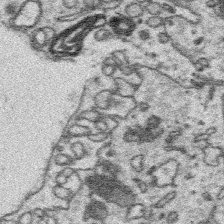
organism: Platynereis dumerilii